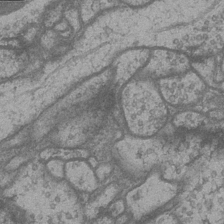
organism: Drosophila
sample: Optic medulla